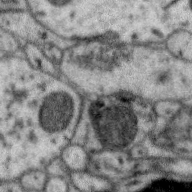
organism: Zebra finch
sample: Brain